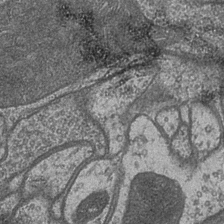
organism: Drosophila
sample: Optic medulla